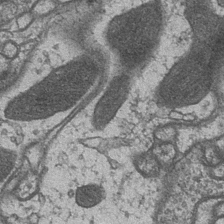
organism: Drosophila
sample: Optic medulla